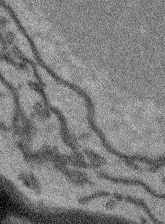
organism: Arabidopsis thaliana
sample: Root tip